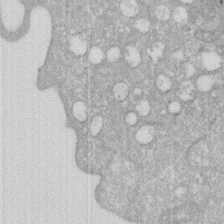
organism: Human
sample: HIV infected U937 cells